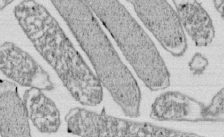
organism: E. coli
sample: Bacterial nucleoid